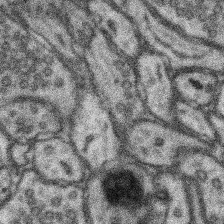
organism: Mouse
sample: Somatosensory cortex neuropil